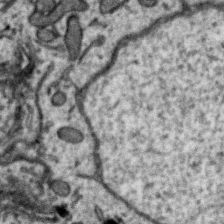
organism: Zebra finch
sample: Brain